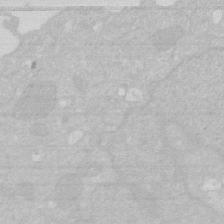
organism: Human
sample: HIV infected U937 cells